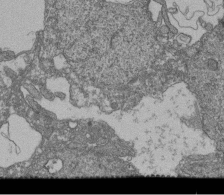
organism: Human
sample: Retinal organoid Rod and Cone cells